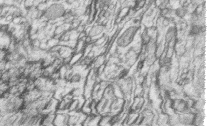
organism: Zebrafish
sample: synaptic ribbons in rod cells and cone cells